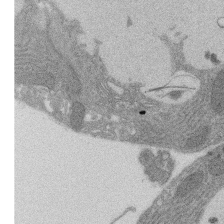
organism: Rat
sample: Salivary granule